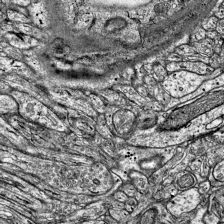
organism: Mouse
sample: Visual Cortex